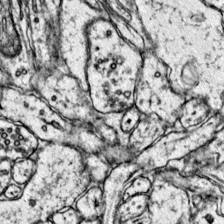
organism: Mouse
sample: Primary visual cortex